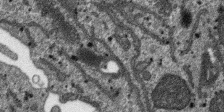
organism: Human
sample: Lung epithelial cells infected with SARS-CoV-2